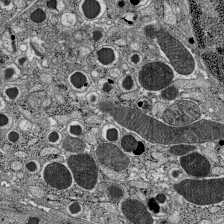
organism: C57BL Mouse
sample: Pancreatic islet